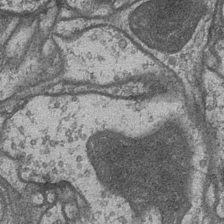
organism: Drosophila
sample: Optic medulla